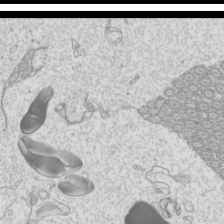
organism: Mouse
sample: Cilia; mouse epididymis